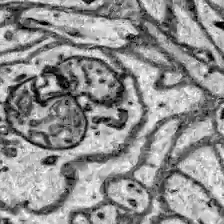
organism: Zebrafish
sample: Brain